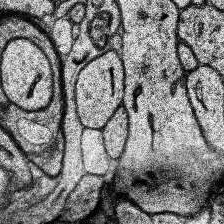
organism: Human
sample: Temporal Lobe